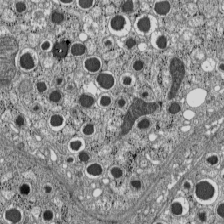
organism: C57BL Mouse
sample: Pancreatic islet